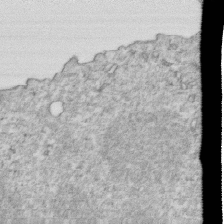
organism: Mouse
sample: Activated OT-1 CD8+ T cells